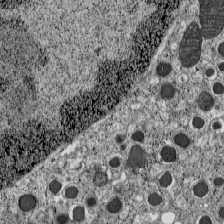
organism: C57BL Mouse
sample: Pancreatic islet